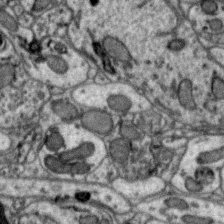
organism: Zebra finch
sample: Brain